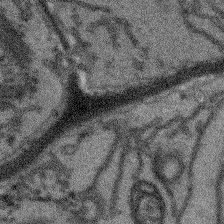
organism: Arabidopsis thaliana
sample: Root tip